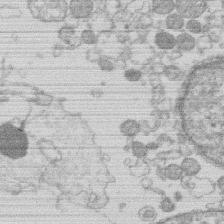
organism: Human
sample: Macrophage cells